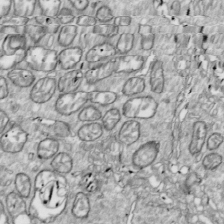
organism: Drosophila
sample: Cell division; meiosis; drosophila spermatocytes